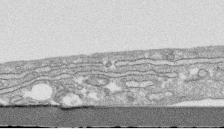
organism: Human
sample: CRL-1474